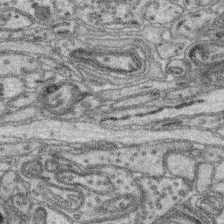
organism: Mouse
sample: Retina